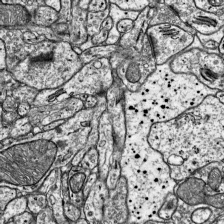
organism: Mouse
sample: Visual Cortex